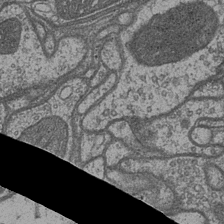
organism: Drosophila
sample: Optic medulla